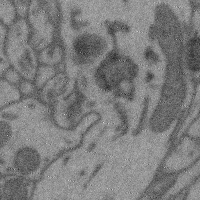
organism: Mouse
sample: Cerebral cortex